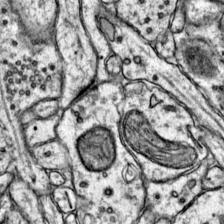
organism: Mouse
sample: Primary visual cortex